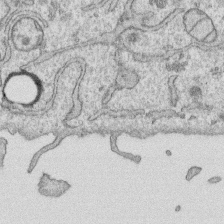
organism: Human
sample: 1205lu cells